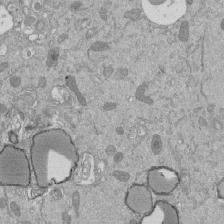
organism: Mouse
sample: ED-1 cell nuclei; centrioles